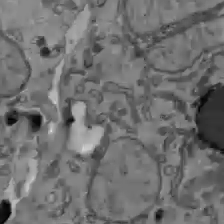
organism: C57BL Mouse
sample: Liver